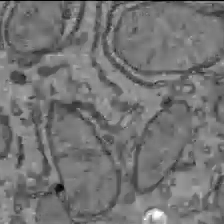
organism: C57BL Mouse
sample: Liver